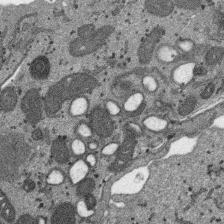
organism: Human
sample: Lung epithelial cells infected with SARS-CoV-2